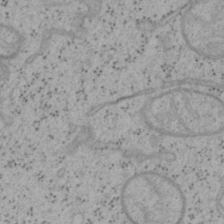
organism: Human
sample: HeLa cells